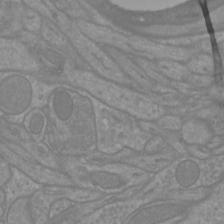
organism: Mouse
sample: Cortical neurons